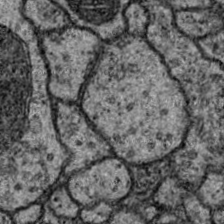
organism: Drosophila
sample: Ventral Nerve Cord